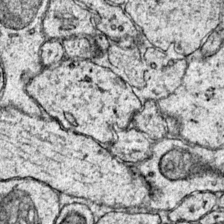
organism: Mouse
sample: Primary visual cortex